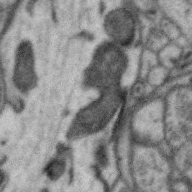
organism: Zebra finch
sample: Brain